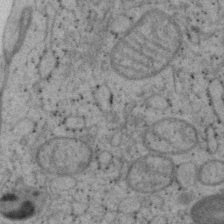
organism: Human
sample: HeLa cells